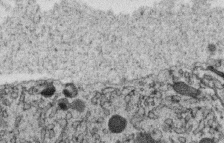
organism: C. elegans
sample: C. elegans oocyte; sperm cells